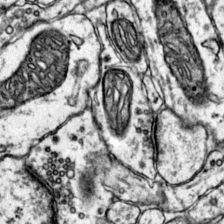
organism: Mouse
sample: Primary visual cortex